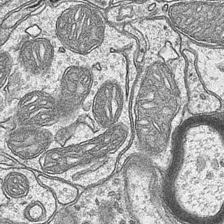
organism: Mouse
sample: CA1 Hippocampus